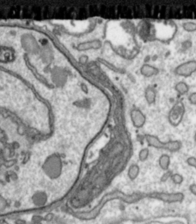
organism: Toxoplasma gondii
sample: Parasites in a vacuole inside a host cell